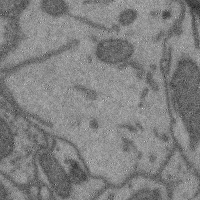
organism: Mouse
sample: Cerebral cortex